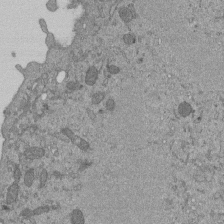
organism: Mouse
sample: ED-1 cell nuclei; centrioles